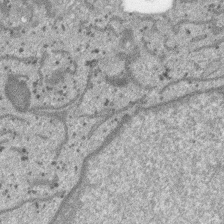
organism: Human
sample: Lung epithelial cells infected with SARS-CoV-2